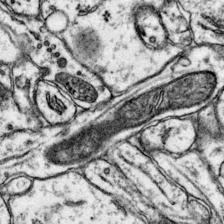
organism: Mouse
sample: Primary visual cortex